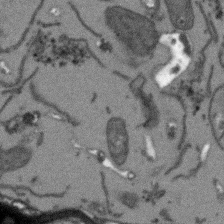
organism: Arabidopsis thaliana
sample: Root tip